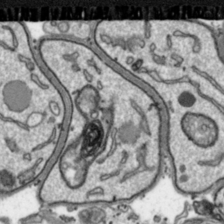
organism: Toxoplasma gondii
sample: Parasites in a vacuole inside a host cell